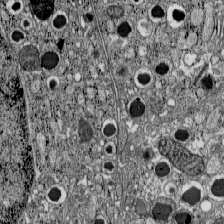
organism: C57BL Mouse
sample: Pancreatic islet